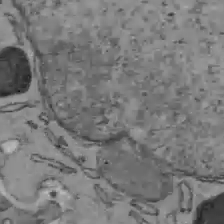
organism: C57BL Mouse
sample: Liver